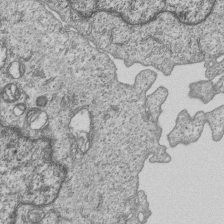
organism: Human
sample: MDA-MB-231 cells